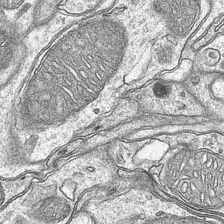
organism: Mouse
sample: CA1 Hippocampus